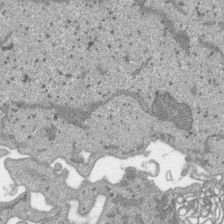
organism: Human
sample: Lung epithelial cells infected with SARS-CoV-2